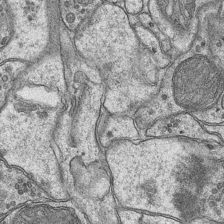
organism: Mouse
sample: CA1 Hippocampus